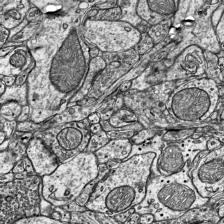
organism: Mouse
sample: Visual Cortex